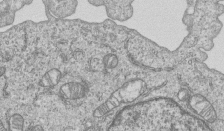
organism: Human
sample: MDA-MB-231 cells